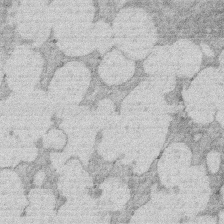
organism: Rat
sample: Salivary granule